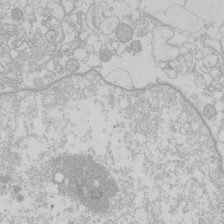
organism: Human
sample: Macrophage cells